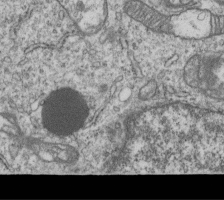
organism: Human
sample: MDA-MB-231 cells